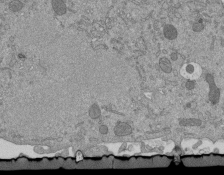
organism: Mouse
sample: ED-1 cell nuclei; centrioles